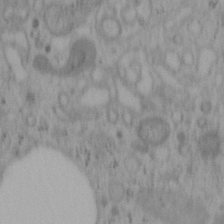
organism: Mouse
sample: OT-I killer T cells with ID8 ovarian cancer cells